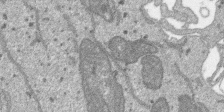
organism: Human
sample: Lung epithelial cells infected with SARS-CoV-2